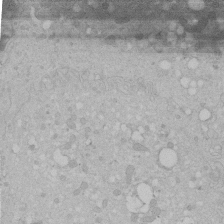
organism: Human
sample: Melanocyte Keratinocyte synapse skin construct